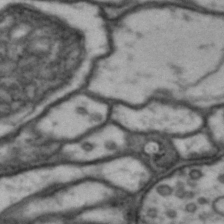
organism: Drosophila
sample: Brain